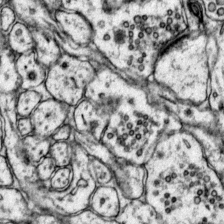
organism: Mouse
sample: Primary visual cortex